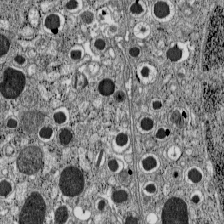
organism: C57BL Mouse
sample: Pancreatic islet